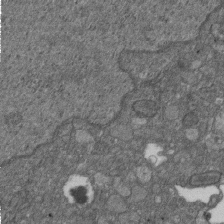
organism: Drosophila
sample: Nephrocyte